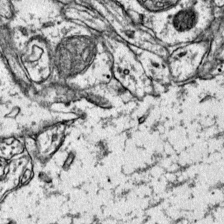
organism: Mouse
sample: Primary visual cortex